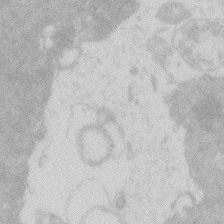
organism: Zebrafish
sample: Macrophage